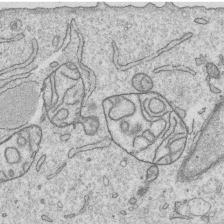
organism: Human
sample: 1205lu cells